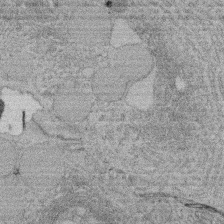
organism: Rat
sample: Salivary granule